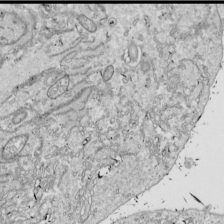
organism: Drosophila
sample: Cell division; meiosis; drosophila spermatocytes